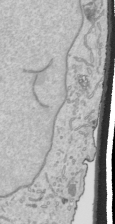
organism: Human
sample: Mitochondria in HCT116 cells